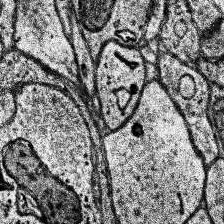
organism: Human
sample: Temporal Lobe